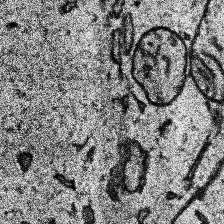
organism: Human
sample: Temporal Lobe